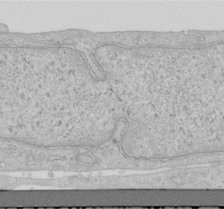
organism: Human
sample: Centriole in RPE cells